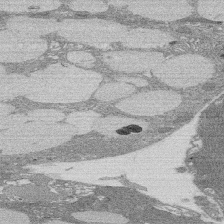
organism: Rat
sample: Salivary granule